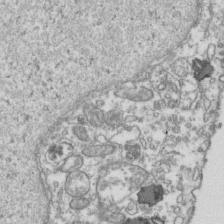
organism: Human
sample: Activated Jurkat CD4+ T cells